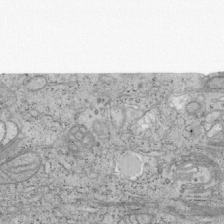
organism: Human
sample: HeLa cells